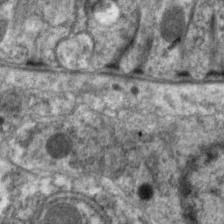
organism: C. elegans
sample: Pharynx